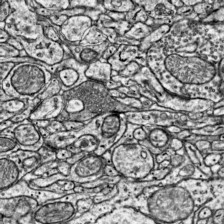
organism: Mouse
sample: Visual Cortex